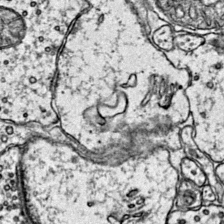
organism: Mouse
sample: Primary visual cortex